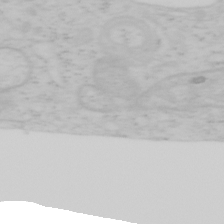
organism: Mouse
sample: OT-I killer T cells with ID8 ovarian cancer cells